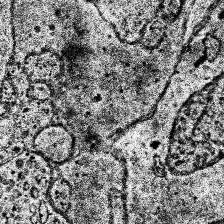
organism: Human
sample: Temporal Lobe